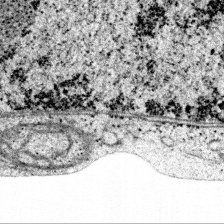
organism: Human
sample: HeLa cells